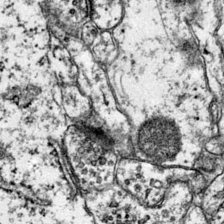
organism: Mouse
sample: Primary visual cortex